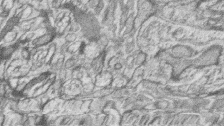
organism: Zebrafish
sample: synaptic ribbons in rod cells and cone cells